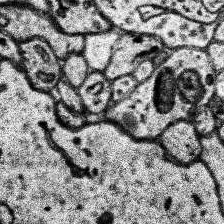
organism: Human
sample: Temporal Lobe